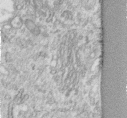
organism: Human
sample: Centriole in fibroblast cells